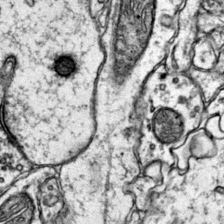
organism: Mouse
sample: Primary visual cortex